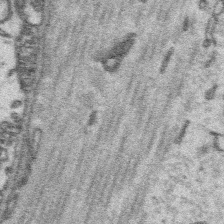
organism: Platynereis dumerilii